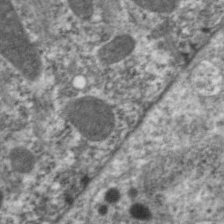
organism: C. elegans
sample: Pharynx